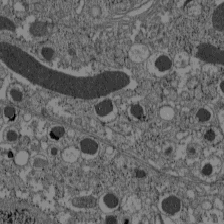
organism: C57BL Mouse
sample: Pancreatic islet